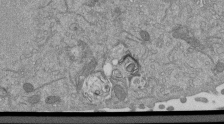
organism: Mouse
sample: ED-1 cell nuclei; centrioles